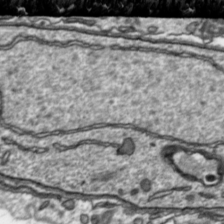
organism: Toxoplasma gondii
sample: Parasites in a vacuole inside a host cell